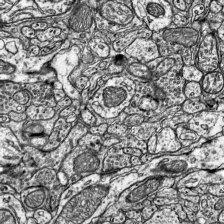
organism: Mouse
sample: Visual Cortex